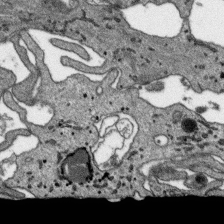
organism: Human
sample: Lung epithelial cells, uninfected (mock) control